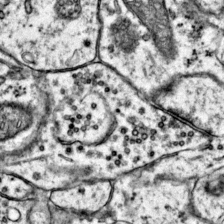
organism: Mouse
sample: Primary visual cortex